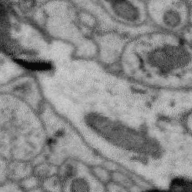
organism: Zebra finch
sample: Brain